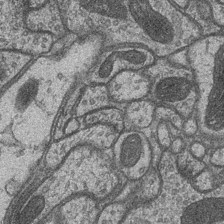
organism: Drosophila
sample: Optic medulla